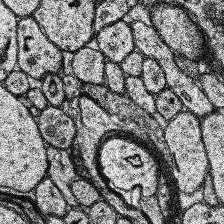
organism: Human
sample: Temporal Lobe